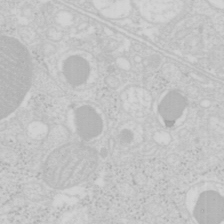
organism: Mouse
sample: Pancreas